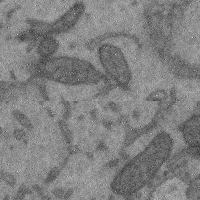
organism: Mouse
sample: Cerebral cortex